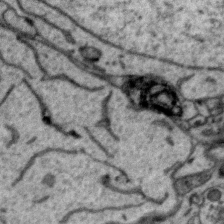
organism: Zebra finch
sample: Brain